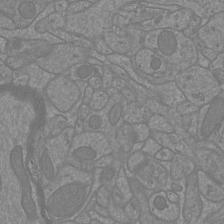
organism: Mouse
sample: Cortical neurons